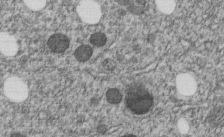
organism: C. elegans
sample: C. elegans embryo early stage